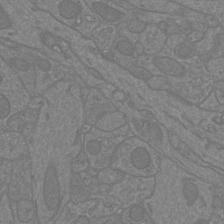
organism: Mouse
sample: Cortical neurons